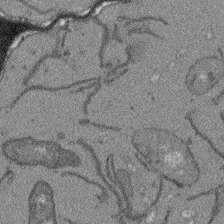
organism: Arabidopsis thaliana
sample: Root tip